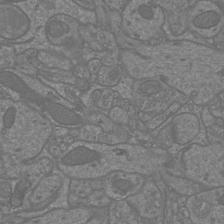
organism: Mouse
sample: Cortical neurons